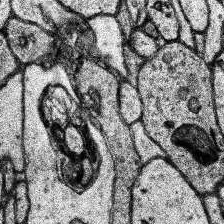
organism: Human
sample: Temporal Lobe